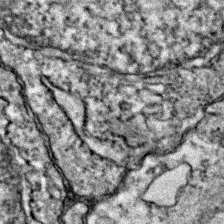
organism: Zebrafish